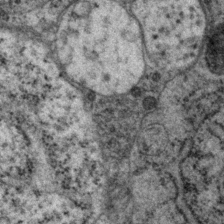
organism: P. pacificus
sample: Pharynx